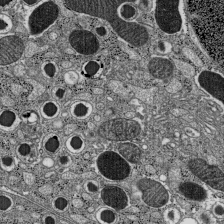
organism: C57BL Mouse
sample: Pancreatic islet